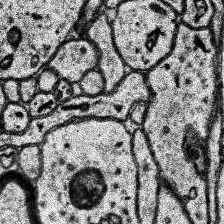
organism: Human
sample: Temporal Lobe